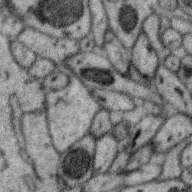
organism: Zebra finch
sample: Brain